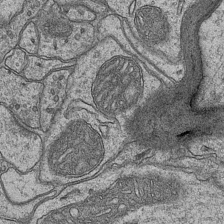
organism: Mouse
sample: CA1 Hippocampus